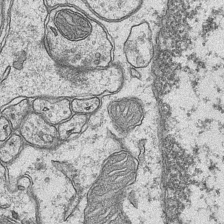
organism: Mouse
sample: CA1 Hippocampus